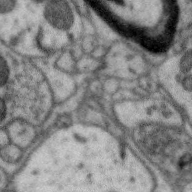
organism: Zebra finch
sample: Brain